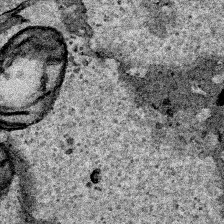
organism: Human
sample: Mitochondria in HCT116 cells